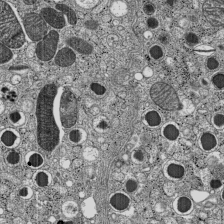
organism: C57BL Mouse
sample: Pancreatic islet